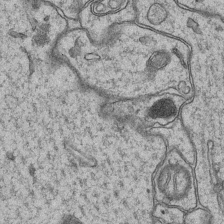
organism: Mouse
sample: CA1 Hippocampus